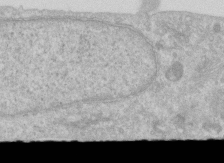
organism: Human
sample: Centriole in RPE cells